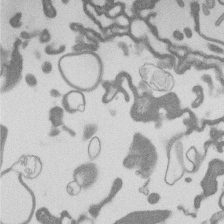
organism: Mouse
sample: Dividing mouse embryo 1 cell stage